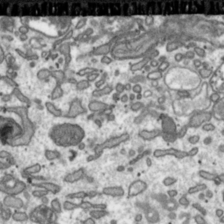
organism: Toxoplasma gondii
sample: Parasites in a vacuole inside a host cell